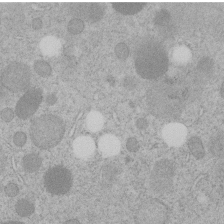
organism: C. elegans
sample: C. elegans embryo early stage